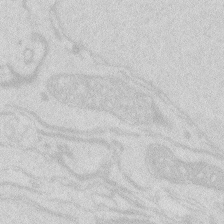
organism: Zebrafish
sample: Macrophage